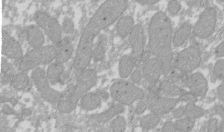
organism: Xenopus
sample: Cilia; centrioles in frog embryo cells